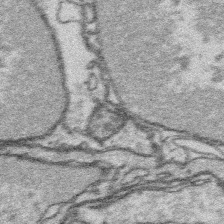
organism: Platynereis dumerilii